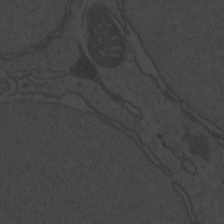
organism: Zebrafish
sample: Macrophage infected with Toxoplasma gondii